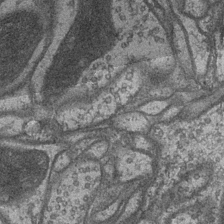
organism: Drosophila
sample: Optic medulla